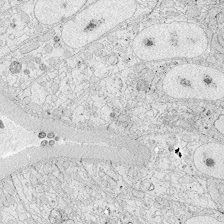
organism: Zebrafish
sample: Whole-Brain